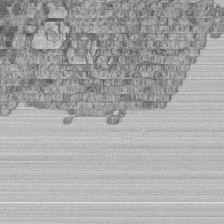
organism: Human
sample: MDA-MB-231 cells